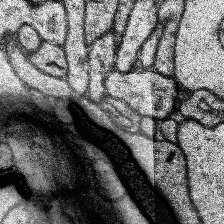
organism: Human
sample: Temporal Lobe